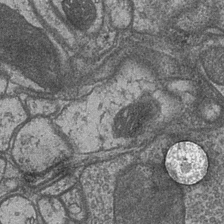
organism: Drosophila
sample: Optic medulla